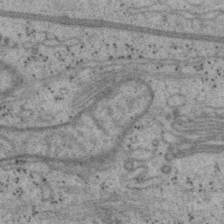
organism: Human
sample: HeLa cells